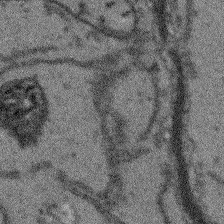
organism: Arabidopsis thaliana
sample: Root tip